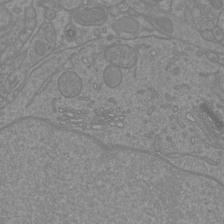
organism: Mouse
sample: Cortical neurons